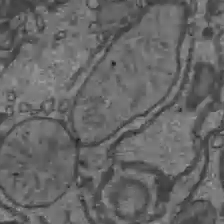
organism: C57BL Mouse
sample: Liver